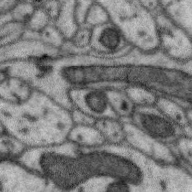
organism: Zebra finch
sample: Brain